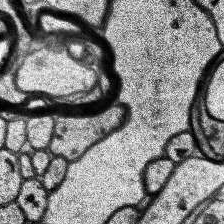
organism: Human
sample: Temporal Lobe